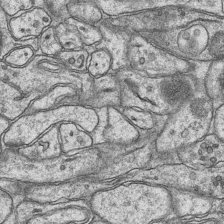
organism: Mouse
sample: CA1 Hippocampus